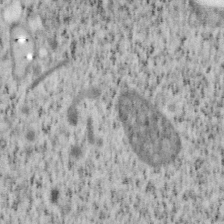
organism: Mouse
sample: OT-I killer T cells with ID8 ovarian cancer cells